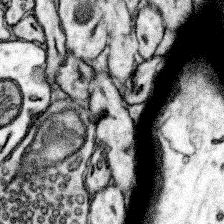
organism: Mouse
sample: Somatosensory cortex neuropil